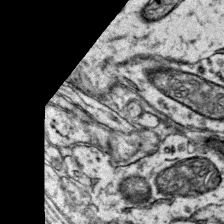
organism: Mouse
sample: Primary visual cortex